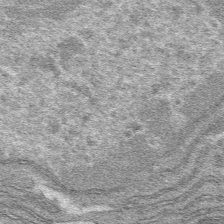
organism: Mouse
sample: Mouse hepatocytes